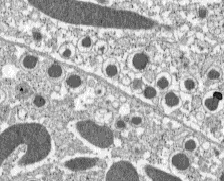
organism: C57BL Mouse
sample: Pancreatic islet